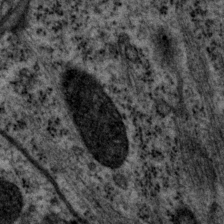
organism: P. pacificus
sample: Pharynx